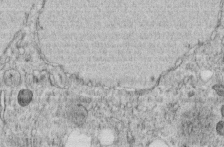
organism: C. elegans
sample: C. elegans embryo early stage